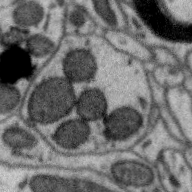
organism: Zebra finch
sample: Brain